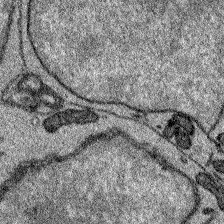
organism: Zebrafish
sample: Larval olfactory bulb